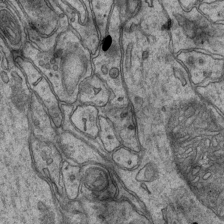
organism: Mouse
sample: CA1 Hippocampus